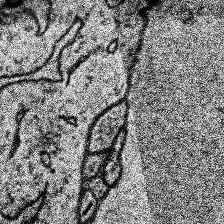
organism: Human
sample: Temporal Lobe